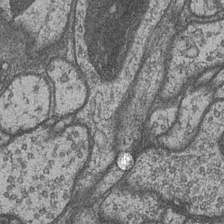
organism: Drosophila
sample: Optic medulla